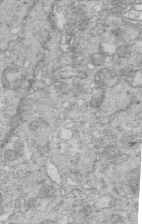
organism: Mouse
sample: Multiciliated cells